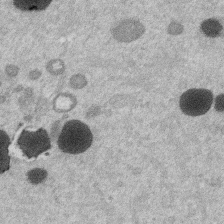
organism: Mouse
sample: Dividing mouse embryo 1 cell stage